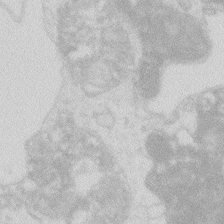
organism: Zebrafish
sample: Macrophage